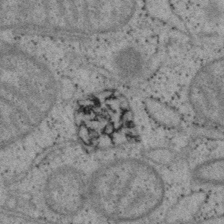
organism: Human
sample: HeLa cells